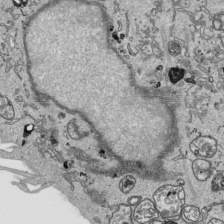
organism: Human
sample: Mitochondria in HCT116 cells